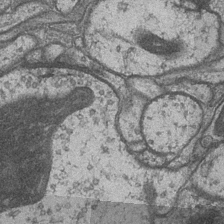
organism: Drosophila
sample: Optic medulla